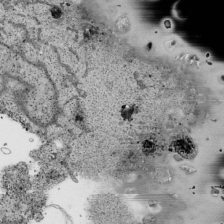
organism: Human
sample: Mitochondria in HCT116 cells